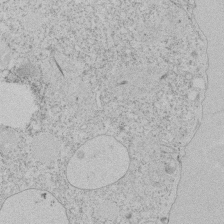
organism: Tetrahymena